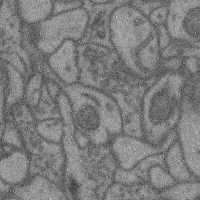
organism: Mouse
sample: Cerebral cortex